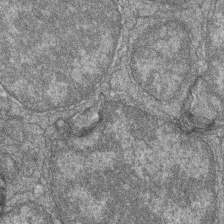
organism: Zebrafish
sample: Cilia; retinal pigment epithelium